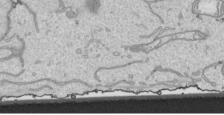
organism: Human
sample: Mitochondria in HCT116 cells